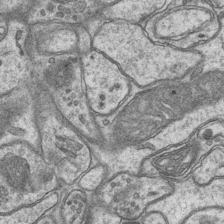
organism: Mouse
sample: CA1 Hippocampus